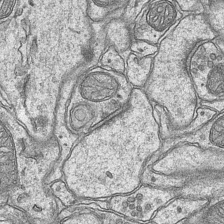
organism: Mouse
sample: CA1 Hippocampus